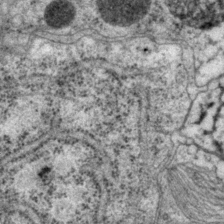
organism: P. pacificus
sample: Pharynx